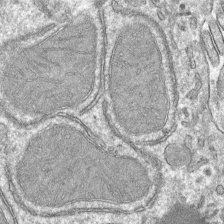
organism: Mouse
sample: Mouse hepatocytes